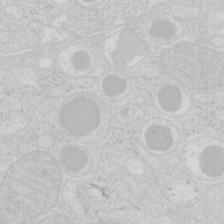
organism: Mouse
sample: Pancreas